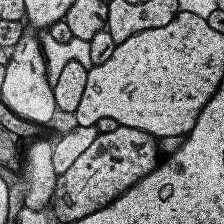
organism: Human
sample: Temporal Lobe